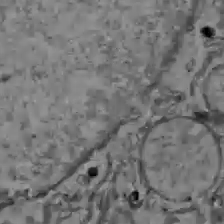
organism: C57BL Mouse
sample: Liver